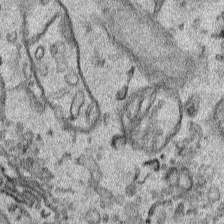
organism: Human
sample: Mitochondria in HCT116 cells